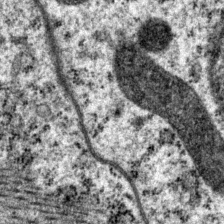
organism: P. pacificus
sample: Pharynx